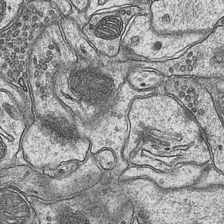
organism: Mouse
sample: CA1 Hippocampus